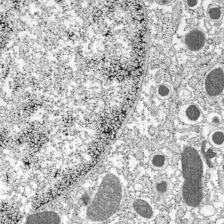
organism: C57BL Mouse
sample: Pancreatic islet